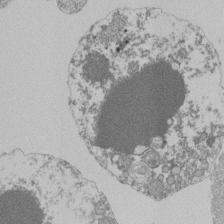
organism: Mouse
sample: Activated Pmel transgenic CD8+ T Cells